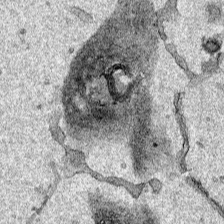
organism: Human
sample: Mitochondria in HCT116 cells